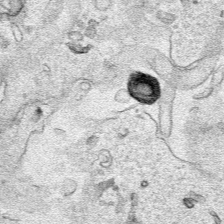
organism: Human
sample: Mitochondria in HCT116 cells